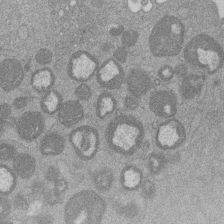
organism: Mouse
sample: Dividing mouse embryo 1 cell stage